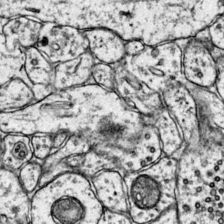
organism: Mouse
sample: Primary visual cortex